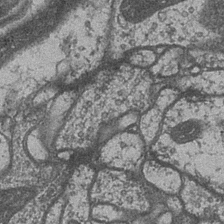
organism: Drosophila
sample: Optic medulla